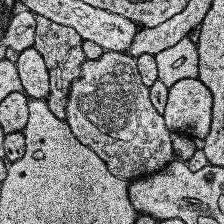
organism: Human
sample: Temporal Lobe